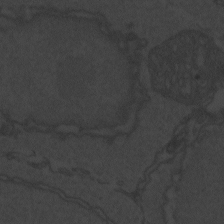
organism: Zebrafish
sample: Macrophage infected with Toxoplasma gondii